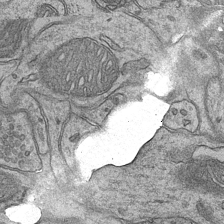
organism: Mouse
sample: CA1 Hippocampus